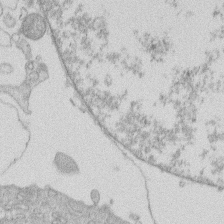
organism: Human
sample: Macrophage cells